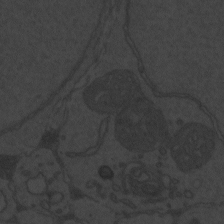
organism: Zebrafish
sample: Macrophage infected with Toxoplasma gondii